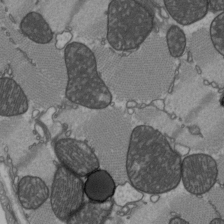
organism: C57BL Mouse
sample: Heart